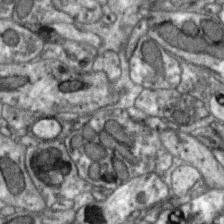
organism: Zebra finch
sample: Brain